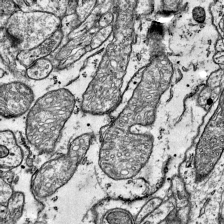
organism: Mouse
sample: Visual Cortex